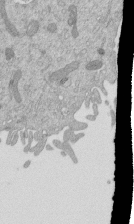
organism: Mouse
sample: ED-1 cell nuclei; centrioles